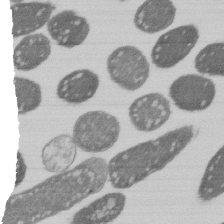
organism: E. coli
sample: Bacterial nucleoid